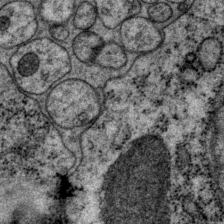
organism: P. pacificus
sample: Pharynx